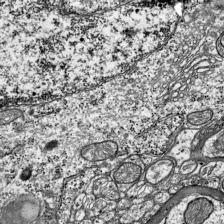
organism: Mouse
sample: Visual Cortex